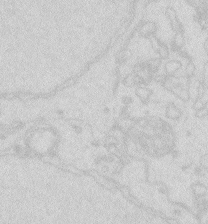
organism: Zebrafish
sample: Macrophage